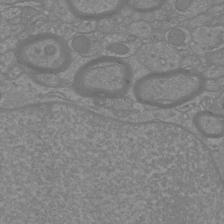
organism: Mouse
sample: Cortical neurons